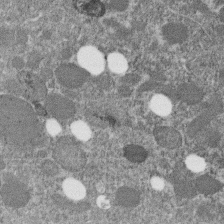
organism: C. elegans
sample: C. elegans embryo early stage